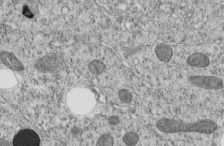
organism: C. elegans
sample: C. elegans embryo early stage